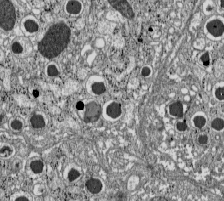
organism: C57BL Mouse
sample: Pancreatic islet